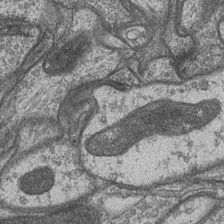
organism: Drosophila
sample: Optic medulla